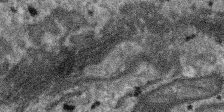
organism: Human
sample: Lung epithelial cells infected with SARS-CoV-2